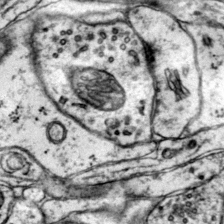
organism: Mouse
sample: Primary visual cortex